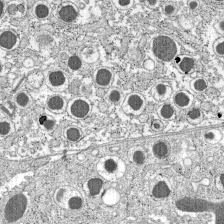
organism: C57BL Mouse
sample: Pancreatic islet